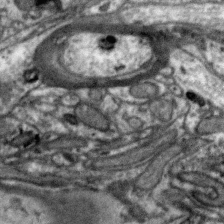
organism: Zebra finch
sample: Brain